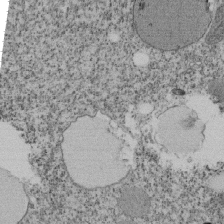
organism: Tetrahymena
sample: Cilia in tetrahymena